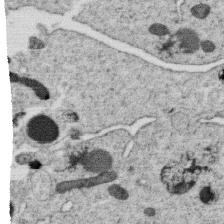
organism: C. elegans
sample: C. elegans oocyte; sperm cells